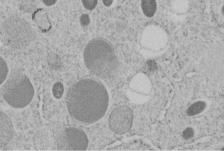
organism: C. elegans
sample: C. elegans embryo early stage